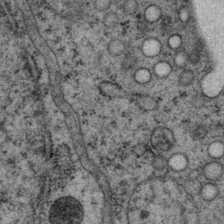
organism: P. pacificus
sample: Pharynx